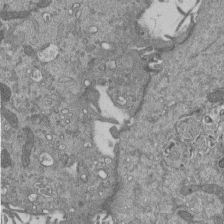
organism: Mouse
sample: ED-1 cell nuclei; centrioles